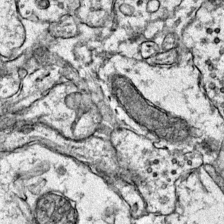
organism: Mouse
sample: Primary visual cortex